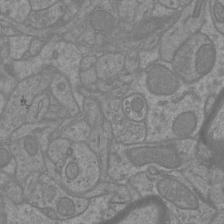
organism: Mouse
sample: Cortical neurons